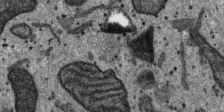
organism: Human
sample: Lung epithelial cells, uninfected (mock) control